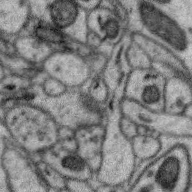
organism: Zebra finch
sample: Brain